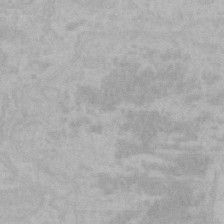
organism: Mouse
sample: Choroid plexus